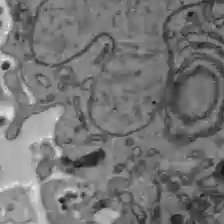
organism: C57BL Mouse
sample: Liver